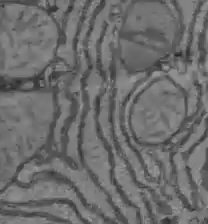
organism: C57BL Mouse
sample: Liver